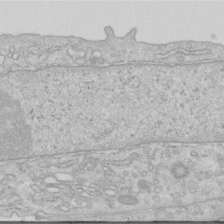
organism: Human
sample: Centriole in RPE cells